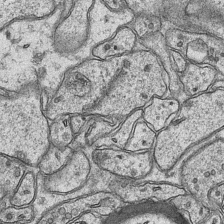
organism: Mouse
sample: CA1 Hippocampus